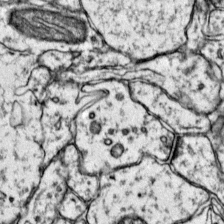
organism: Mouse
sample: Primary visual cortex